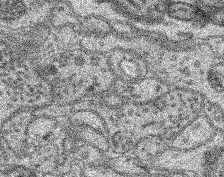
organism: Mouse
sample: Retina